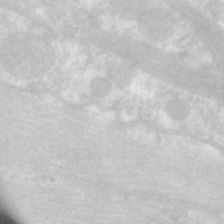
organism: C. elegans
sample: Pharynx